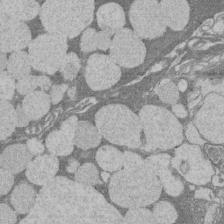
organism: Rat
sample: Salivary granule